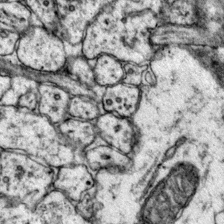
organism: Mouse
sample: Primary visual cortex